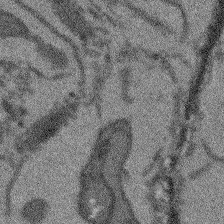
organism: Arabidopsis thaliana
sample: Root tip